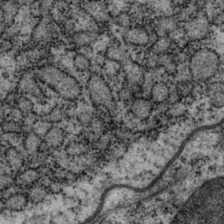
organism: P. pacificus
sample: Pharynx